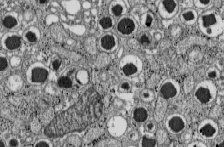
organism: C57BL Mouse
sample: Pancreatic islet